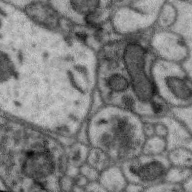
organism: Zebra finch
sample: Brain